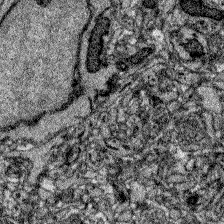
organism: Zebrafish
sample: Larval olfactory bulb